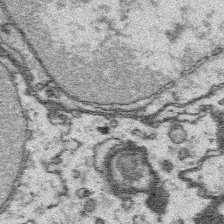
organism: Platynereis dumerilii